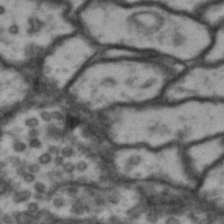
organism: Drosophila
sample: Brain